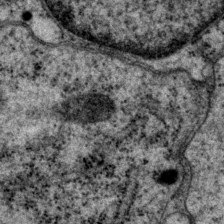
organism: P. pacificus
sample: Pharynx